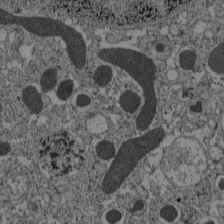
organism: C57BL Mouse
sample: Pancreatic islet